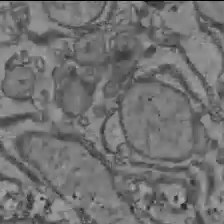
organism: C57BL Mouse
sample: Liver